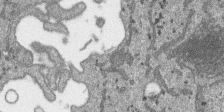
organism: Human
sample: Lung epithelial cells infected with SARS-CoV-2